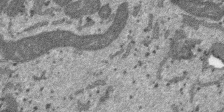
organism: Human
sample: Lung epithelial cells infected with SARS-CoV-2